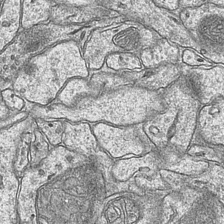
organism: Mouse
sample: CA1 Hippocampus